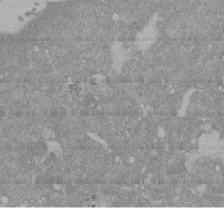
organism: Mouse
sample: ED-1 cell nuclei; centrioles